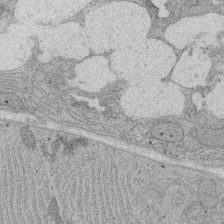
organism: Rat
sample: Salivary granule